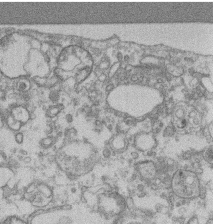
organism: Mouse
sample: T cell stromal cell synapse